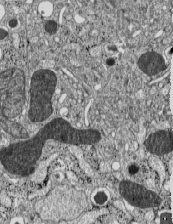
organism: C57BL Mouse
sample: Pancreatic islet